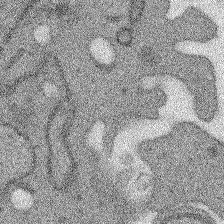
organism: Human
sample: HeLa cells